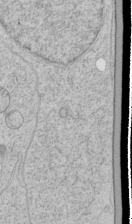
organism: Human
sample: Mitochondria in HCT116 cells